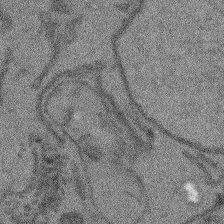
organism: Arabidopsis thaliana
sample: Root tip